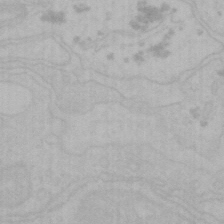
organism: Mouse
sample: Choroid plexus